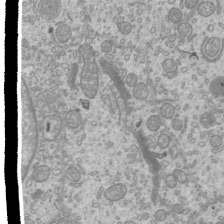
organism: Mouse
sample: Cilia; mouse epididymis